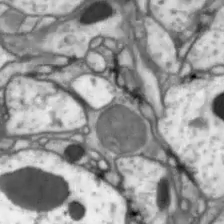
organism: Drosophila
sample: Optic lobe